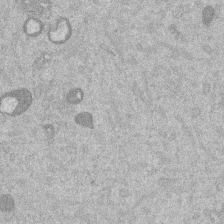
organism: Mouse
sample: Dividing mouse embryo 1 cell stage